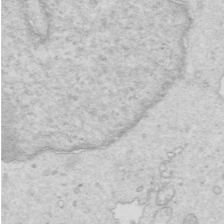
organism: Mouse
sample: Multiciliated cells